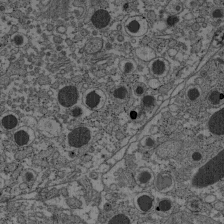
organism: C57BL Mouse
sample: Pancreatic islet